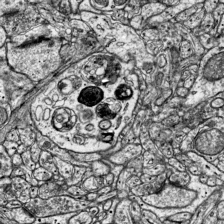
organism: Mouse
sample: Visual Cortex